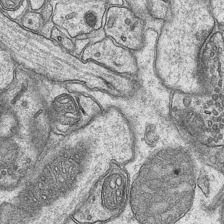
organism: Mouse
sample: CA1 Hippocampus